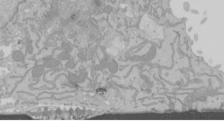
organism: Mouse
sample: Cancer cell death in ED-1 cells